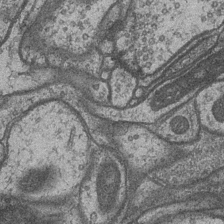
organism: Drosophila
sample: Optic medulla